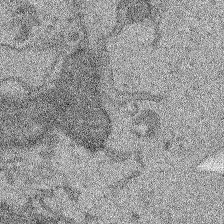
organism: Human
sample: HeLa cells